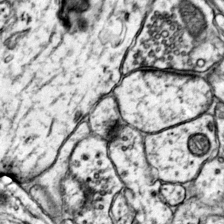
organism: Mouse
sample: Primary visual cortex